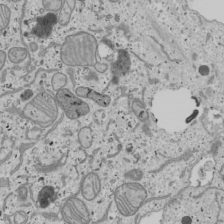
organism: Human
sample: Mitochondria in U2OS cells